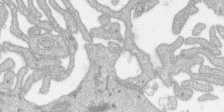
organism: Human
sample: Lung epithelial cells infected with SARS-CoV-2